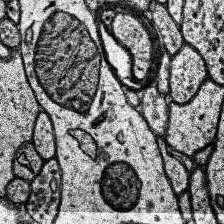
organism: Human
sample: Temporal Lobe